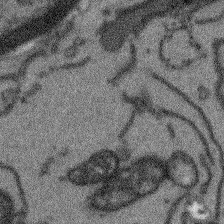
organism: Arabidopsis thaliana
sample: Root tip